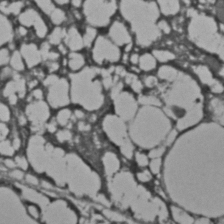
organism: C. elegans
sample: C. elegans embryo